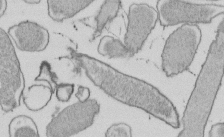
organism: E. coli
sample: Bacterial nucleoid